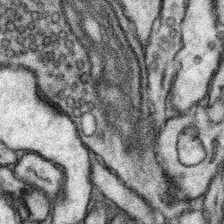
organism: Mouse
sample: Somatosensory cortex neuropil